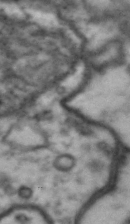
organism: Drosophila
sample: Brain